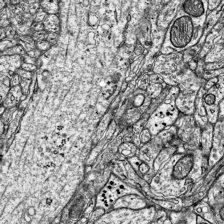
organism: Mouse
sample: Visual Cortex